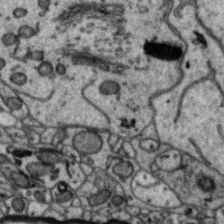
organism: Zebra finch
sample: Brain